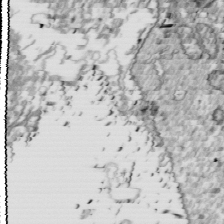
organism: Drosophila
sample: Cell division; meiosis; drosophila spermatocytes